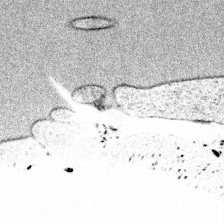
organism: Human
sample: HeLa cells